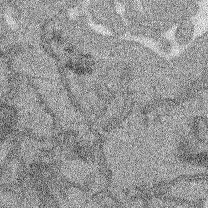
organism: Human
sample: HeLa cells